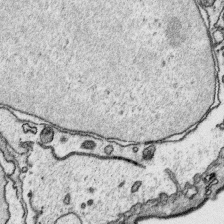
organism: Platynereis dumerilii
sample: Parapodia